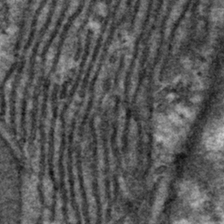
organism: Mouse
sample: Mouse hepatocytes